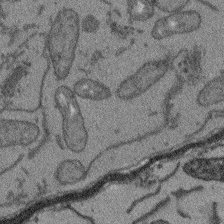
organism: Arabidopsis thaliana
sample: Root tip